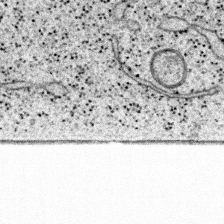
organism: Human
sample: HeLa cells